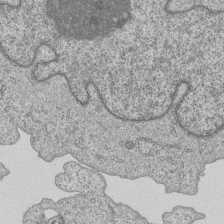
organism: Human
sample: MDA-MB-231 cells